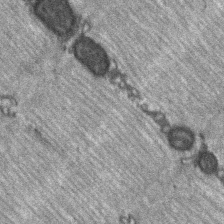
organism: C57BL Mouse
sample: Soleus